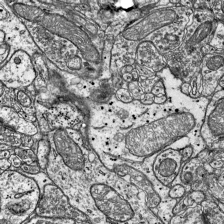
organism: Mouse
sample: Visual Cortex